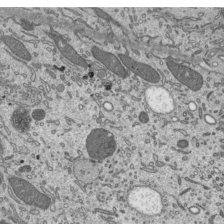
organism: Mouse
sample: Mouse epididymis efferent ductule cilia